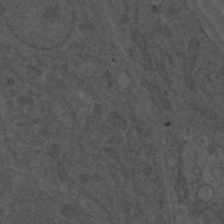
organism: C. elegans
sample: C. elegans embryo